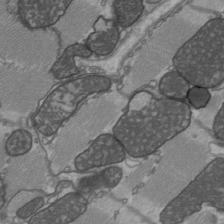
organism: C57BL Mouse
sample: Heart